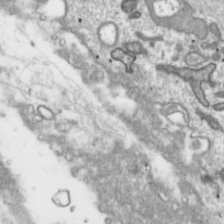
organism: Toxoplasma gondii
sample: Parasites in a vacuole inside a host cell